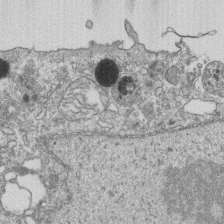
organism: Human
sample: HeLa cell HIV synapse